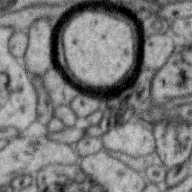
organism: Zebra finch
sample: Brain